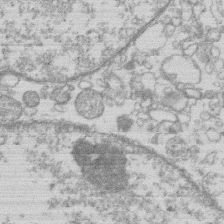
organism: Human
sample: Macrophage cells